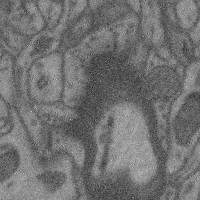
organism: Mouse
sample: Cerebral cortex